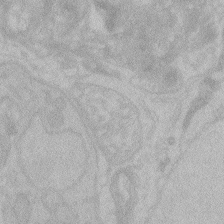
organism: Zebrafish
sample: Macrophage infected with Toxoplasma gondii